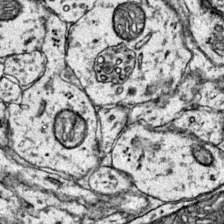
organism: Mouse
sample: Primary visual cortex